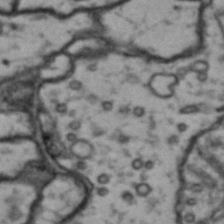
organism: Drosophila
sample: Brain